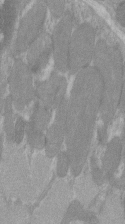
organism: C57BL Mouse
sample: Tibialis anterior muscle cell